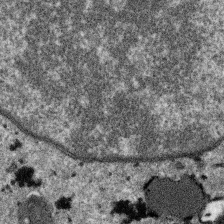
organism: Human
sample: Lung epithelial cells infected with SARS-CoV-2